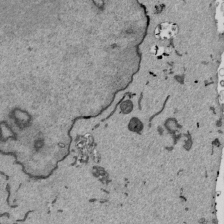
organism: Mouse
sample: ED-1 cell nuclei; centrioles